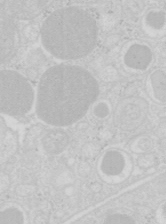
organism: Mouse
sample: Pancreas